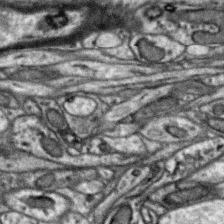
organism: Zebra finch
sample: Brain